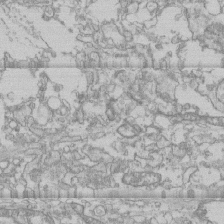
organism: Human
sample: CRL-1474